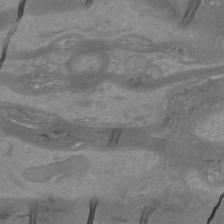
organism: Mouse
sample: Cortical neurons